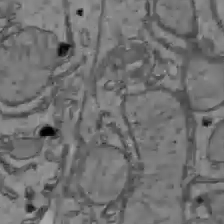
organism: C57BL Mouse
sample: Liver